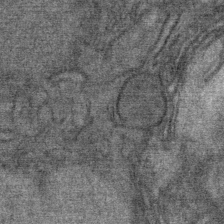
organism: Mouse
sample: Mouse Salivary gland